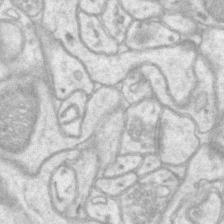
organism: Mouse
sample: CA1 Hippocampus